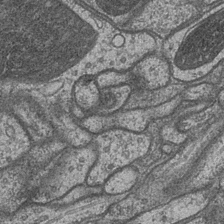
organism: Drosophila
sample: Optic medulla